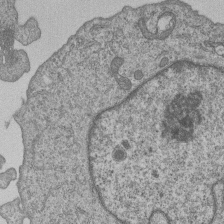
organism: Human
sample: MDA-MB-231 cells